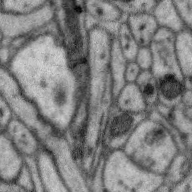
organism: Zebra finch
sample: Brain